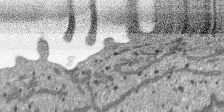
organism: Human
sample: Lung epithelial cells infected with SARS-CoV-2